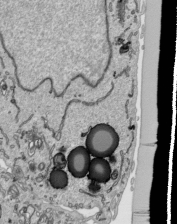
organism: Human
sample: Mitochondria in HCT116 cells